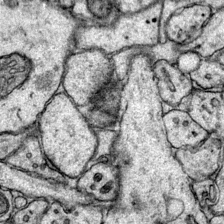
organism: Mouse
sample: Primary visual cortex